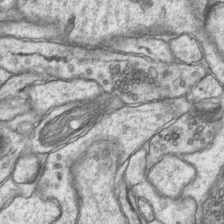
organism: Mouse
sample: CA1 Hippocampus